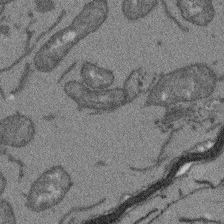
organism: Arabidopsis thaliana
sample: Root tip